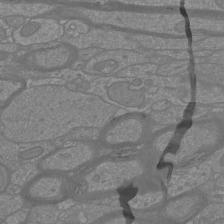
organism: Mouse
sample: Cortical neurons